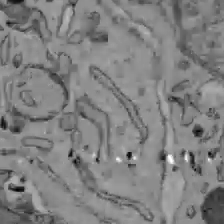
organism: C57BL Mouse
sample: Liver